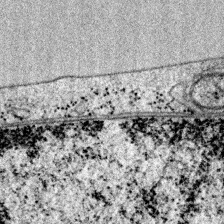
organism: Human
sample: HeLa cells